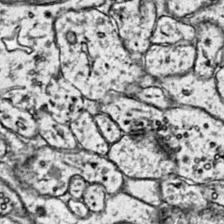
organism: Mouse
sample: Primary visual cortex